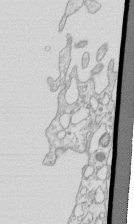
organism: Mouse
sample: Macrophages